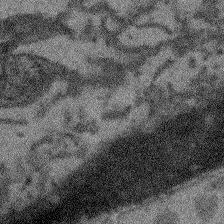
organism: Arabidopsis thaliana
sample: Root tip